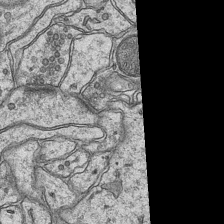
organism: Mouse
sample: CA1 Hippocampus